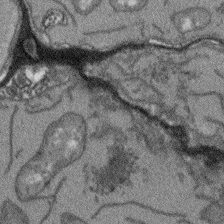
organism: Arabidopsis thaliana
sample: Root tip